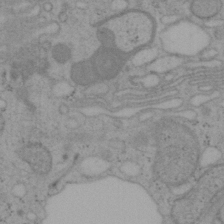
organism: Mouse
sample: OT-I killer T cells with ID8 ovarian cancer cells